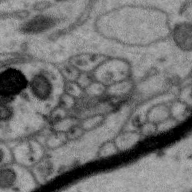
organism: Zebra finch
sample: Brain